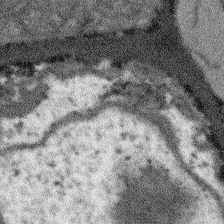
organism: Arabidopsis thaliana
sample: Root tip